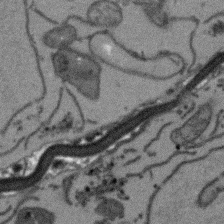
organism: Arabidopsis thaliana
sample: Root tip